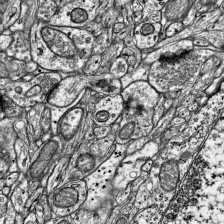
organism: Mouse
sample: Visual Cortex